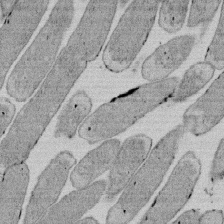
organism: E. coli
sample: Bacterial nucleoid